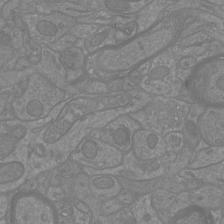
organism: Mouse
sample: Cortical neurons